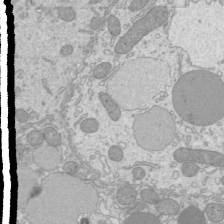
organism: Mouse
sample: Cilia; mouse epididymis